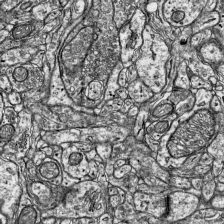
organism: Mouse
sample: Visual Cortex